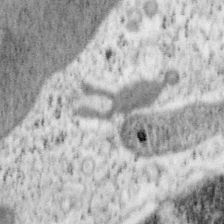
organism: Mouse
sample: OT-I killer T cells with ID8 ovarian cancer cells